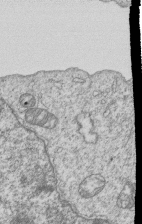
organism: Human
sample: MDA-MB-231 cells